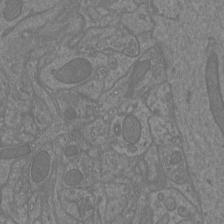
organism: Mouse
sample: Cortical neurons